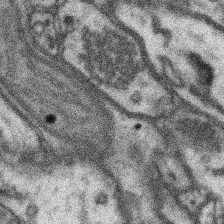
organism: Mouse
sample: Somatosensory cortex neuropil